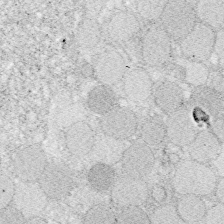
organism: Zebrafish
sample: Whole-Brain